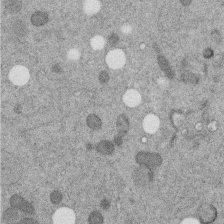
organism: C. elegans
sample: C. elegans embryo early stage